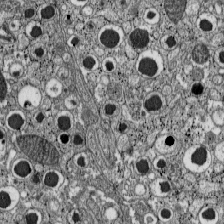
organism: C57BL Mouse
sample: Pancreatic islet